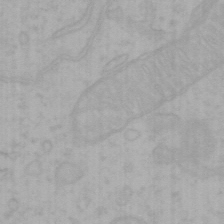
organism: Mouse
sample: Choroid plexus